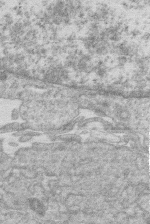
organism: Human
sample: Macrophage cells